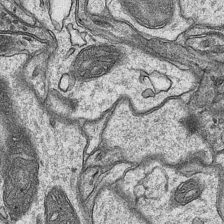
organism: Mouse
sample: CA1 Hippocampus